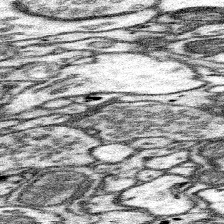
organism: Mouse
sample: Somatosensory cortex neuropil